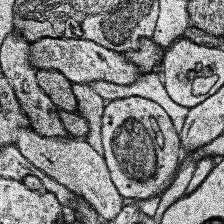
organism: Human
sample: Temporal Lobe